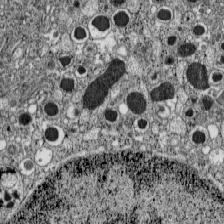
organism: C57BL Mouse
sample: Pancreatic islet